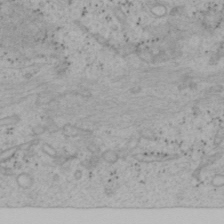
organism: Human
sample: HeLa cells